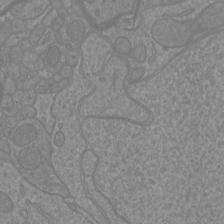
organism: Mouse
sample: Cortical neurons